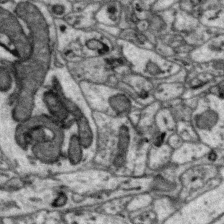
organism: Zebra finch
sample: Brain